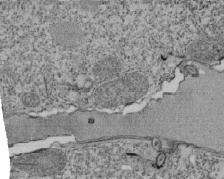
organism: Tetrahymena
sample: Cilia in tetrahymena